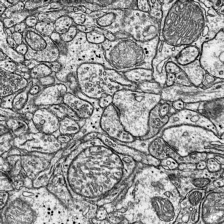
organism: Mouse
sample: Visual Cortex